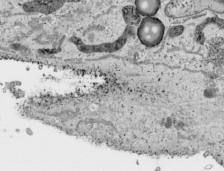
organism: Human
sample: Mitochondria in HCT116 cells